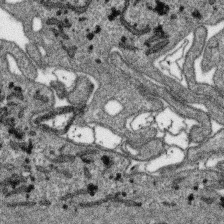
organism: Human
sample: Lung epithelial cells infected with SARS-CoV-2